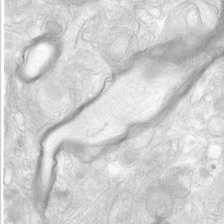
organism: Human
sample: Neocortex